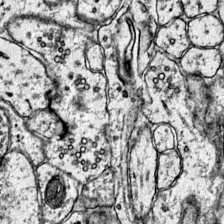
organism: Mouse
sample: Primary visual cortex